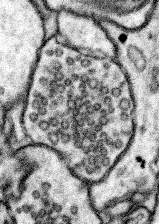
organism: Mouse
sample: Somatosensory cortex neuropil